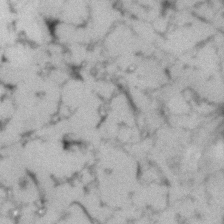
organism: Human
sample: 1205lu cells